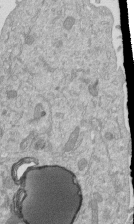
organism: Mouse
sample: ED-1 cell nuclei; centrioles